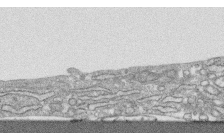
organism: Human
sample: CRL-1474